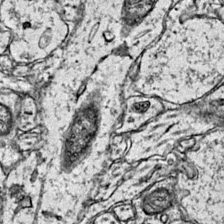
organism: Mouse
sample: Primary visual cortex